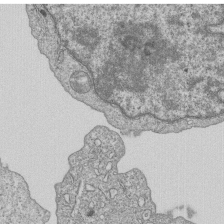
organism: Human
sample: MDA-MB-231 cells